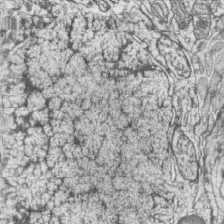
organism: Zebrafish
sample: synaptic ribbons in rod cells and cone cells